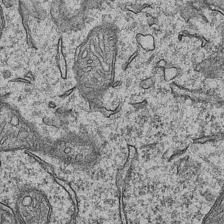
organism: Mouse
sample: CA1 Hippocampus